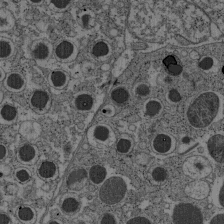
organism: C57BL Mouse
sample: Pancreatic islet